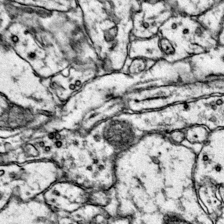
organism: Mouse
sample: Primary visual cortex